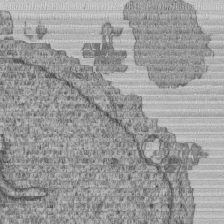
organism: Human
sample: MDA-MB-231 cells